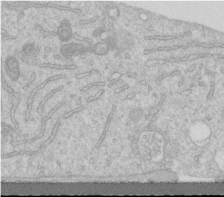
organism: Human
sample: Centriole in RPE cells